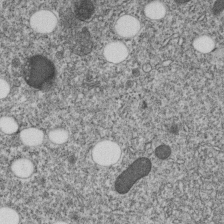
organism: C. elegans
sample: C. elegans embryo early stage